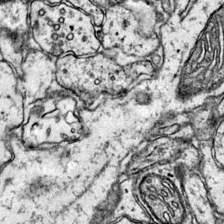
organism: Mouse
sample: Primary visual cortex